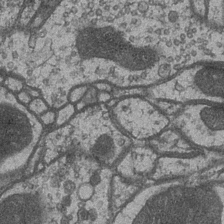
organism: Drosophila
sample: Optic medulla